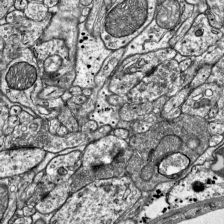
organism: Mouse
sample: Visual Cortex